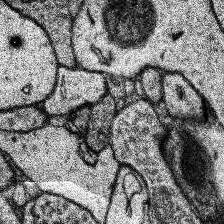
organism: Human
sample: Temporal Lobe